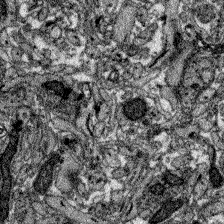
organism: Zebrafish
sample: Larval olfactory bulb